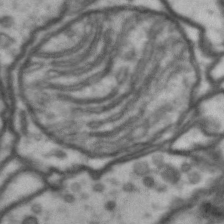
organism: Drosophila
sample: Brain